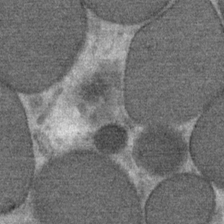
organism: Mouse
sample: Mouse Salivary gland